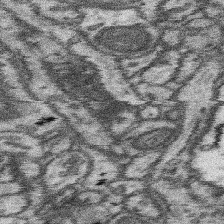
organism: Mouse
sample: Somatosensory cortex neuropil